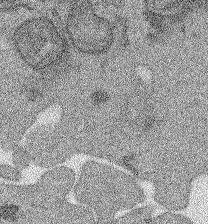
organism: Human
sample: HeLa cells